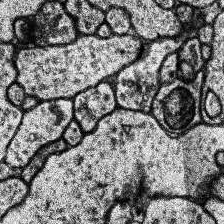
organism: Human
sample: Temporal Lobe